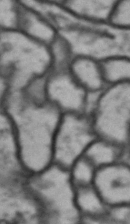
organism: Drosophila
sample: Brain